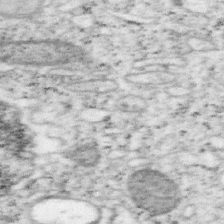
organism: Mouse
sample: OT-I killer T cells with ID8 ovarian cancer cells